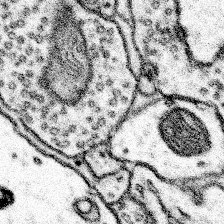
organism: Mouse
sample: Somatosensory cortex neuropil